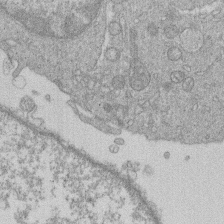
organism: Human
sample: Macrophage cells